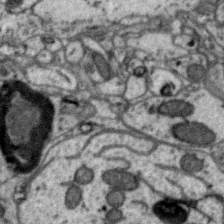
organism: Zebra finch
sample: Brain